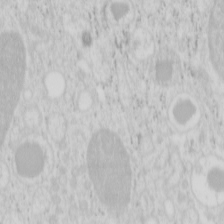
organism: Mouse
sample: Pancreas